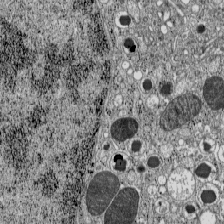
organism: C57BL Mouse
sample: Pancreatic islet